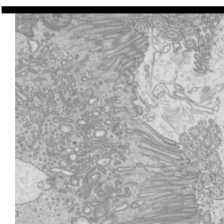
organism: Mouse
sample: Cilia; mouse epididymis